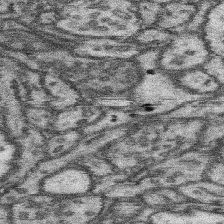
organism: Mouse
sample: Somatosensory cortex neuropil